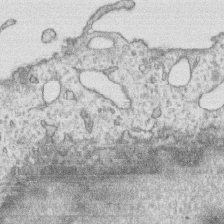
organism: Human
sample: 1205lu cells